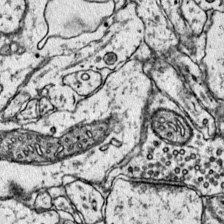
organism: Mouse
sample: Primary visual cortex